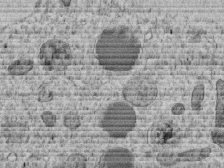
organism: C. elegans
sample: C. elegans embryo early stage